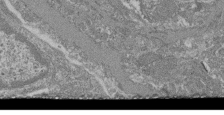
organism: Mouse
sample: Glomerulus